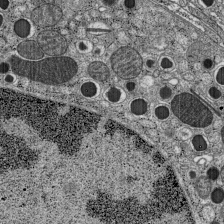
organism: C57BL Mouse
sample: Pancreatic islet